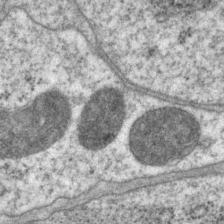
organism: P. pacificus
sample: Pharynx